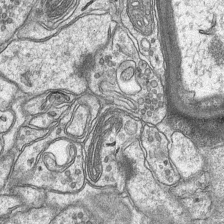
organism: Mouse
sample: CA1 Hippocampus